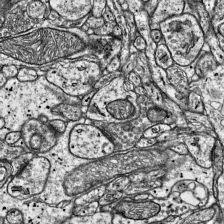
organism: Mouse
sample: Visual Cortex